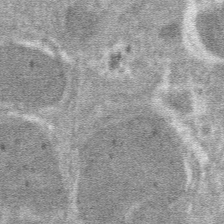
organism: Mouse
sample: Mouse hepatocytes